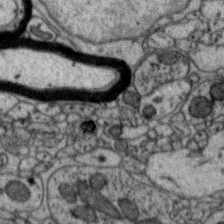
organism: Zebra finch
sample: Brain